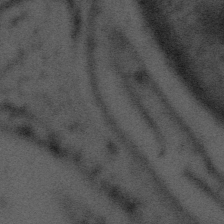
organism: Tuwongella immobilis